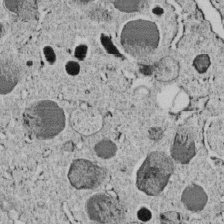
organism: C. elegans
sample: C. elegans embryo early stage